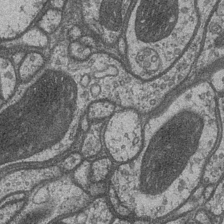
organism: Drosophila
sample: Optic medulla